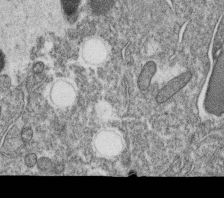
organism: C. elegans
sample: C. elegans oocyte; sperm cells